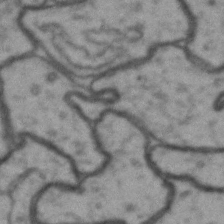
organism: Drosophila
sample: Brain